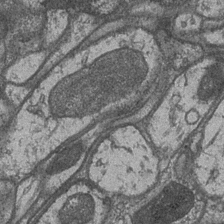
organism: Drosophila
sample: Optic medulla